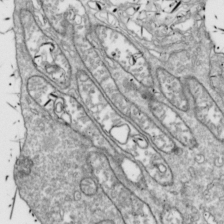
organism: Drosophila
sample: Cell division; meiosis; drosophila spermatocytes